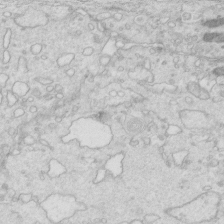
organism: Mouse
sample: Multiciliated cells